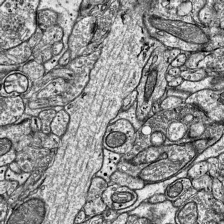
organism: Mouse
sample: Visual Cortex